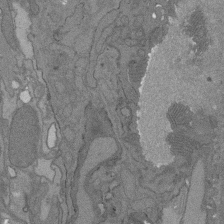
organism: C. elegans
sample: AFD neurons C. elegans